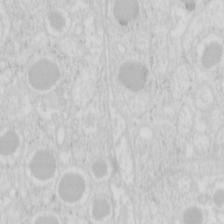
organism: Mouse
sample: Pancreas